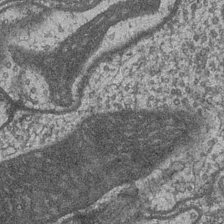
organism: Drosophila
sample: Optic medulla